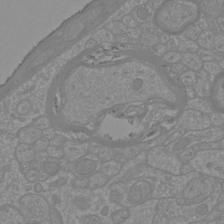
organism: Mouse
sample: Cortical neurons